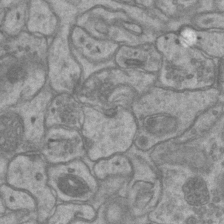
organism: Mouse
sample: CA1 Hippocampus